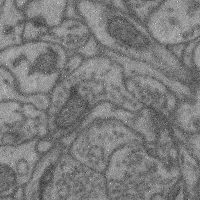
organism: Mouse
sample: Cerebral cortex